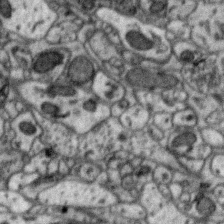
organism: Zebra finch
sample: Brain